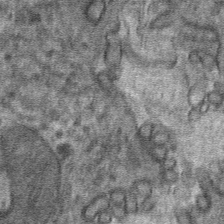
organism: Mouse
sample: Mouse hepatocytes